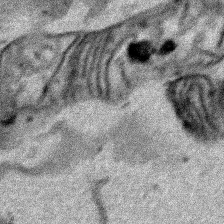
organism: Human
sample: Mitochondria in HCT116 cells